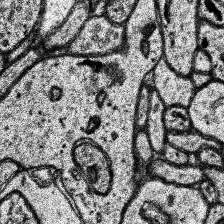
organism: Human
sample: Temporal Lobe